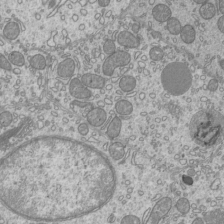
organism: Mouse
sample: Cilia; mouse epididymis